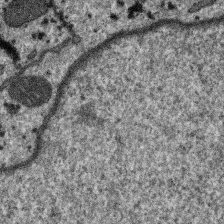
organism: Human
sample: Lung epithelial cells infected with SARS-CoV-2